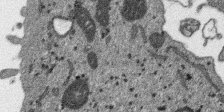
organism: Human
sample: Lung epithelial cells infected with SARS-CoV-2